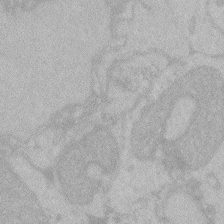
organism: Zebrafish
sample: Macrophage infected with Toxoplasma gondii